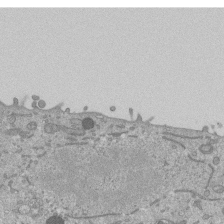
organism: Mouse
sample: ED-1 cell nuclei; centrioles